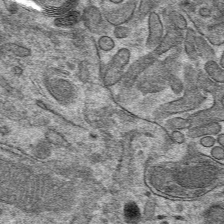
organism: Mouse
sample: Mouse hepatocytes